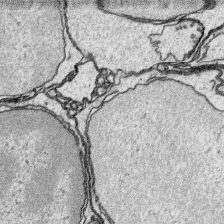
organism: Platynereis dumerilii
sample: Parapodia